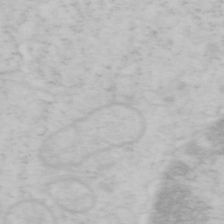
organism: Mouse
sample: OT-I killer T cells with ID8 ovarian cancer cells